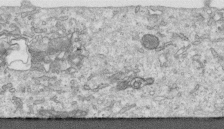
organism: Human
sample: Centriole in RPE cells